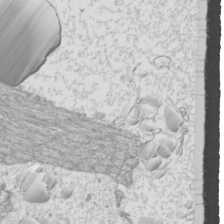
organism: Mouse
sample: Cilia; mouse epididymis